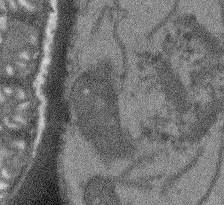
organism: Arabidopsis thaliana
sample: Root tip